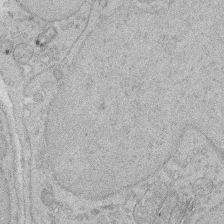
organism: Rat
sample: Salivary granule